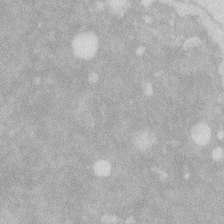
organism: Zebrafish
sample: Macrophage